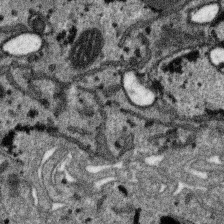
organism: Human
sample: Lung epithelial cells infected with SARS-CoV-2